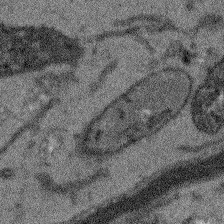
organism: Arabidopsis thaliana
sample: Root tip